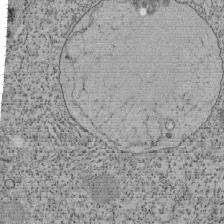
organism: Tetrahymena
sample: Cilia in tetrahymena